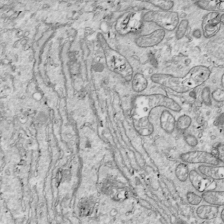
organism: Drosophila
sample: Cell division; meiosis; drosophila spermatocytes